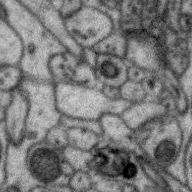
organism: Zebra finch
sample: Brain